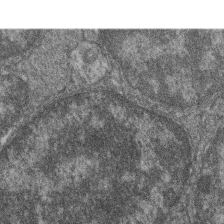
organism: Zebrafish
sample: Cilia; retinal pigment epithelium